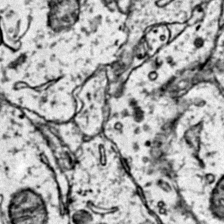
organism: Mouse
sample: Primary visual cortex